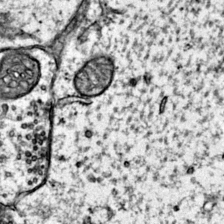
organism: Mouse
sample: Primary visual cortex